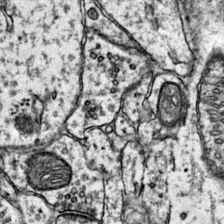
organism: Mouse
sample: Primary visual cortex